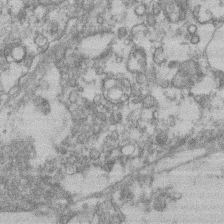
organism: Mouse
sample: T cell stromal cell synapse